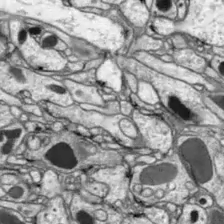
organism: Drosophila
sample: Optic lobe